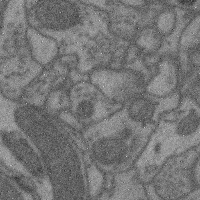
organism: Mouse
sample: Cerebral cortex